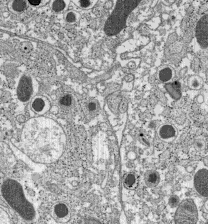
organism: C57BL Mouse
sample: Pancreatic islet